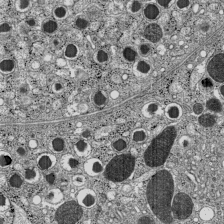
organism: C57BL Mouse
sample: Pancreatic islet